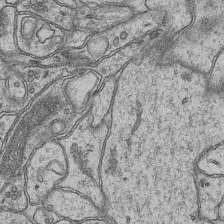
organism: Mouse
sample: CA1 Hippocampus